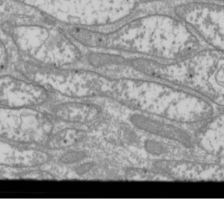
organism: Drosophila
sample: Cell division; meiosis; drosophila spermatocytes